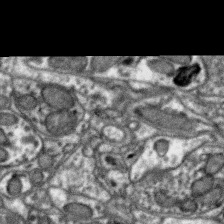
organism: Zebra finch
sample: Brain